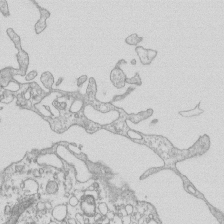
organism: Mouse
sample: Macrophages